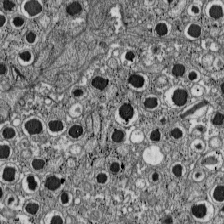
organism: C57BL Mouse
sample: Pancreatic islet